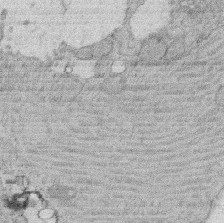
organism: Rat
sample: Salivary granule